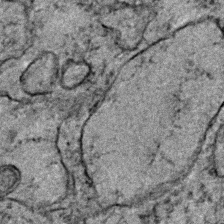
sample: Trachea